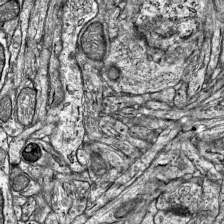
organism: Mouse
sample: Visual Cortex